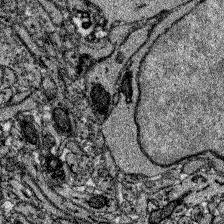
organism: Zebrafish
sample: Larval olfactory bulb